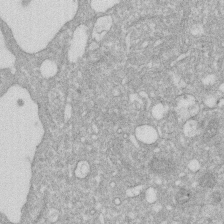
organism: Human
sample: HIV infected U937 cells